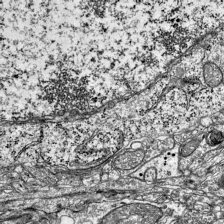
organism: Mouse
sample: Visual Cortex